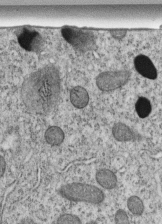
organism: C. elegans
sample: C. elegans embryo early stage